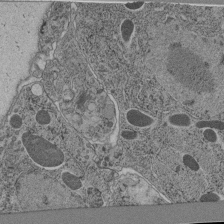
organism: C. elegans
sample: C. elegans pharynx